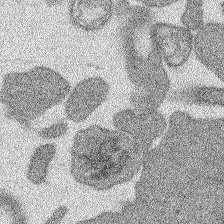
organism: Human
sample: HeLa cells